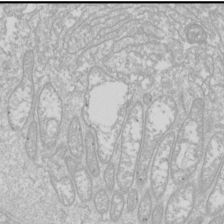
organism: Drosophila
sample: Cell division; meiosis; drosophila spermatocytes